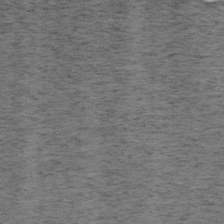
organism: Mouse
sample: OT-I killer T cells with ID8 ovarian cancer cells